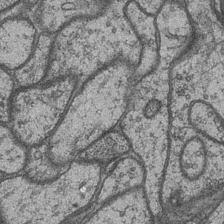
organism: Drosophila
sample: Optic medulla